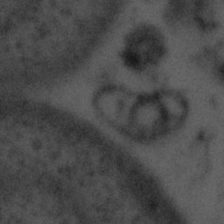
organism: Tuwongella immobilis